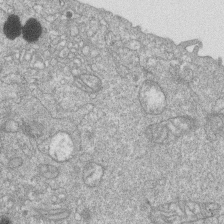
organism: Human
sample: HeLa cell HIV synapse